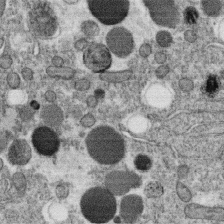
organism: C. elegans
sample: C. elegans oocyte; sperm cells